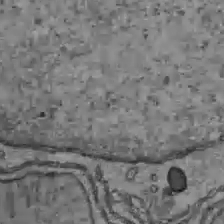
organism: C57BL Mouse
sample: Liver